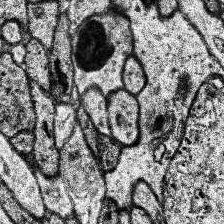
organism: Human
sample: Temporal Lobe